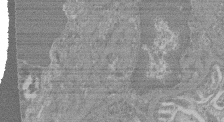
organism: Mouse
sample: Glomerulus